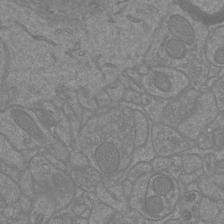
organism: Mouse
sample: Cortical neurons